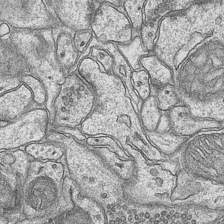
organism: Mouse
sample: CA1 Hippocampus